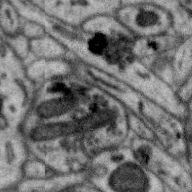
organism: Zebra finch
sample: Brain